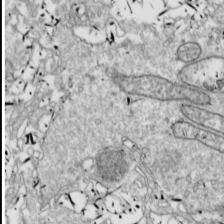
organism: Drosophila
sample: Cell division; meiosis; drosophila spermatocytes